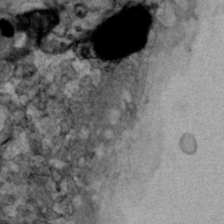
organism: Human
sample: Mitochondria in HCT116 cells